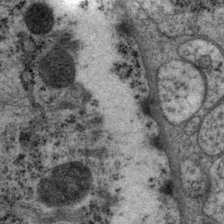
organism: P. pacificus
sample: Pharynx